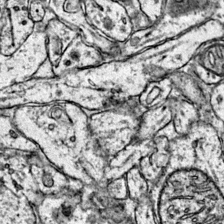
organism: Mouse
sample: Primary visual cortex